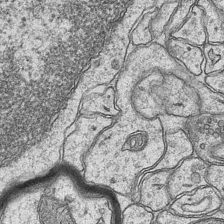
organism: Mouse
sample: CA1 Hippocampus